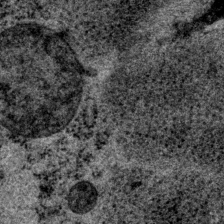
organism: P. pacificus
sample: Pharynx